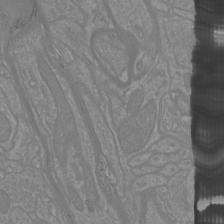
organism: Mouse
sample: Cortical neurons